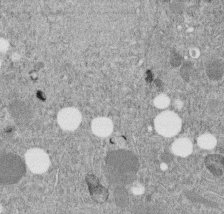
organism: C. elegans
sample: C. elegans embryo early stage